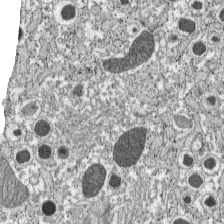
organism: C57BL Mouse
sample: Pancreatic islet